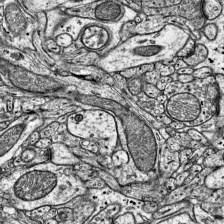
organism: Mouse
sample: Visual Cortex